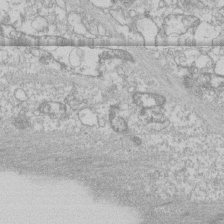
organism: Human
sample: CRL-1474